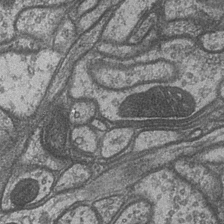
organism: Drosophila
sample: Optic medulla